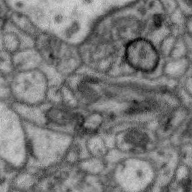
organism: Zebra finch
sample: Brain